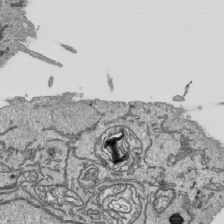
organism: Human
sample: Mitochondria in HCT116 cells